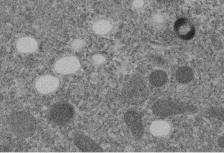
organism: C. elegans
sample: C. elegans embryo early stage